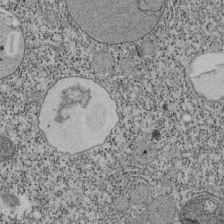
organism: Tetrahymena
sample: Cilia in tetrahymena